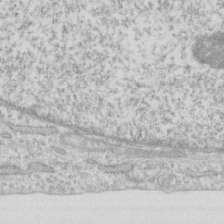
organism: Human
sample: Fibroblast cells